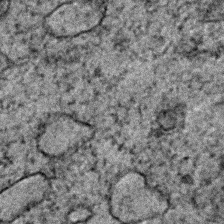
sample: Trachea